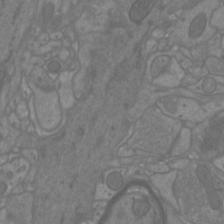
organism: Mouse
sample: Cortical neurons